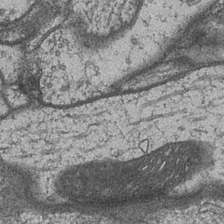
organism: Drosophila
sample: Optic medulla